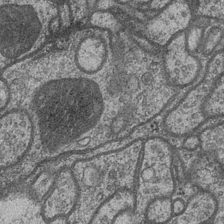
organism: Drosophila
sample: Optic medulla